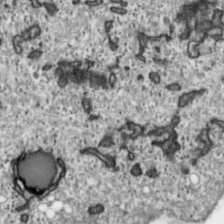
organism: Toxoplasma gondii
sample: Parasites in a vacuole inside a host cell